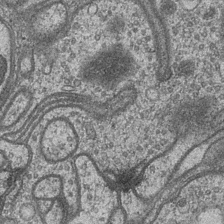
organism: Drosophila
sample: Optic medulla